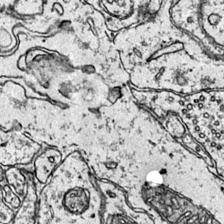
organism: Mouse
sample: Primary visual cortex